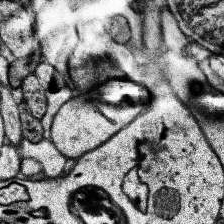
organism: Human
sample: Temporal Lobe